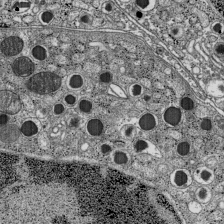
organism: C57BL Mouse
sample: Pancreatic islet